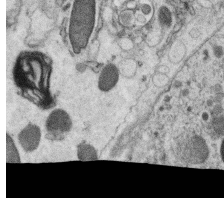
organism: C. elegans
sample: C. elegans oocyte; sperm cells